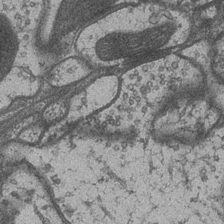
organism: Drosophila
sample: Optic medulla